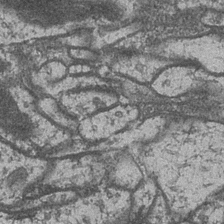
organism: Drosophila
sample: Optic medulla